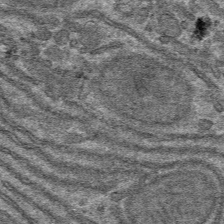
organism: Mouse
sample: Mouse hepatocytes